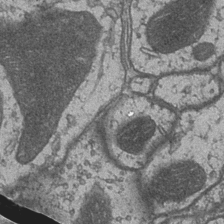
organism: Drosophila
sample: Optic medulla